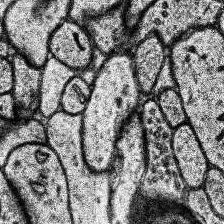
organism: Human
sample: Temporal Lobe